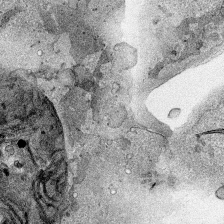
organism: Human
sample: Mitochondria in HCT116 cells